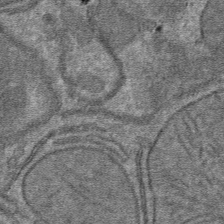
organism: Mouse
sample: Mouse hepatocytes